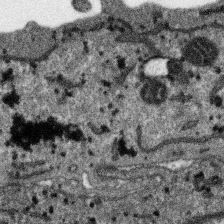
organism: Human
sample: Lung epithelial cells infected with SARS-CoV-2